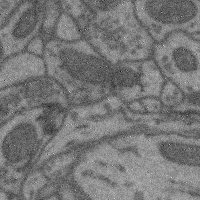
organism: Mouse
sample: Cerebral cortex